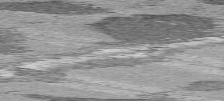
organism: C57BL Mouse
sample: Heart